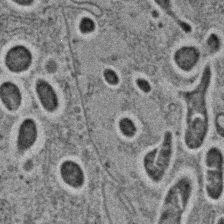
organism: C. elegans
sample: C. elegans embryo